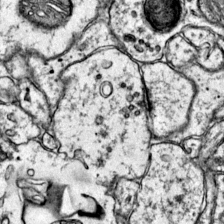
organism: Mouse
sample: Primary visual cortex